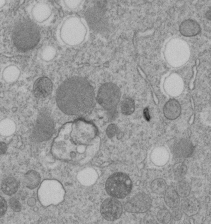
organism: C. elegans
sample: C. elegans embryo early stage